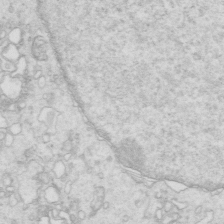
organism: Mouse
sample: Multiciliated cells